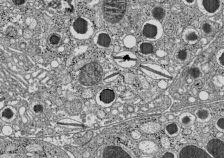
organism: C57BL Mouse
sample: Pancreatic islet